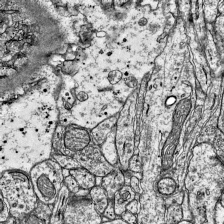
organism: Mouse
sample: Visual Cortex